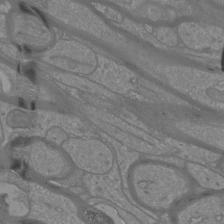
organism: Mouse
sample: Cortical neurons